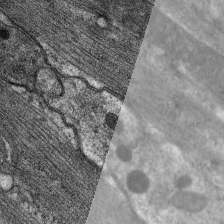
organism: C. elegans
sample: Pharynx